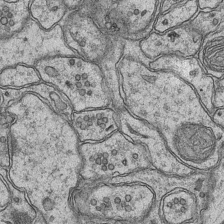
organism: Mouse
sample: CA1 Hippocampus